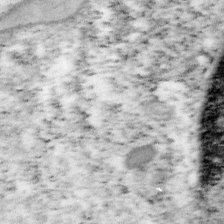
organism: Mouse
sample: OT-I killer T cells with ID8 ovarian cancer cells